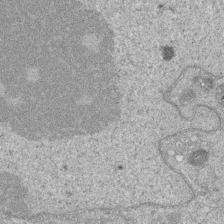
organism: Human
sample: HeLa cell HIV synapse